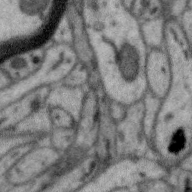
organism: Zebra finch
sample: Brain